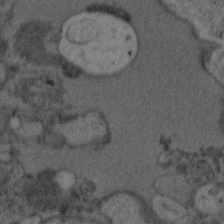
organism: Human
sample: HeLa cells